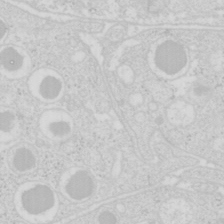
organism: Mouse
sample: Pancreas